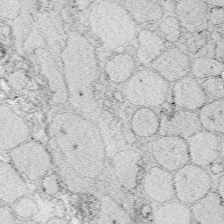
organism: Zebrafish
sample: Whole-Brain